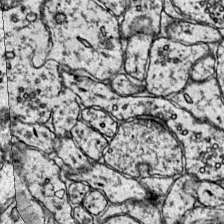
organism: Mouse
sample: Primary visual cortex